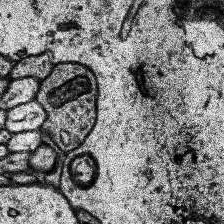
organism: Human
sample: Temporal Lobe